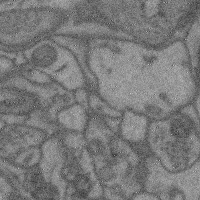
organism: Mouse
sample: Cerebral cortex